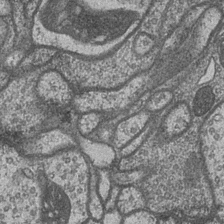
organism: Drosophila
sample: Optic medulla